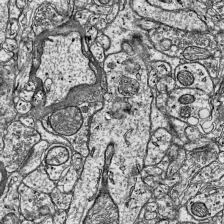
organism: Mouse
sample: Visual Cortex